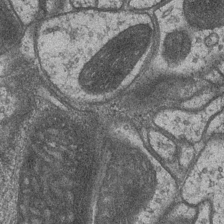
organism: Drosophila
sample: Optic medulla